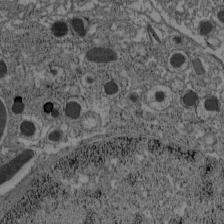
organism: C57BL Mouse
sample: Pancreatic islet